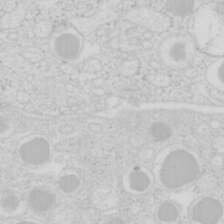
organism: Mouse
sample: Pancreas